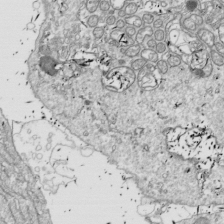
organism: Drosophila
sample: Cell division; meiosis; drosophila spermatocytes